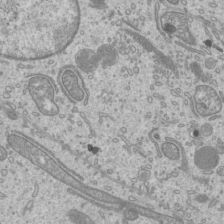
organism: Mouse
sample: Cilia; mouse epididymis